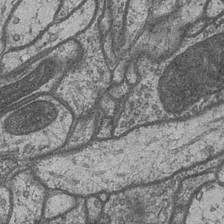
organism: Drosophila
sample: Optic medulla